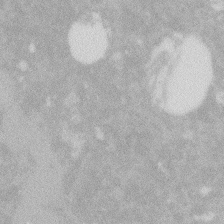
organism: Zebrafish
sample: Macrophage